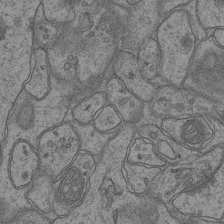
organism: Mouse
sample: CA1 Hippocampus